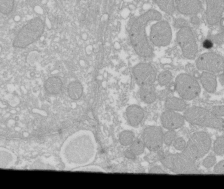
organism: Xenopus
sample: Cilia; centrioles in frog embryo cells